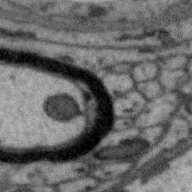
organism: Zebra finch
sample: Brain